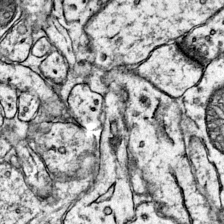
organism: Mouse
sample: Primary visual cortex